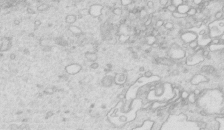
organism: Mouse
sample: Multiciliated cells